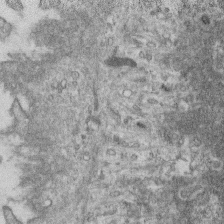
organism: Mouse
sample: Centriole in ependymal cells